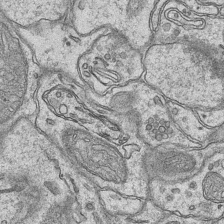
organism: Mouse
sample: CA1 Hippocampus